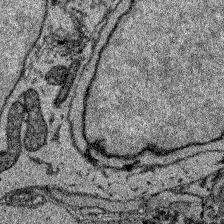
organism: Zebrafish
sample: Larval olfactory bulb